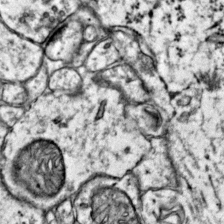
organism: Mouse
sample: Primary visual cortex